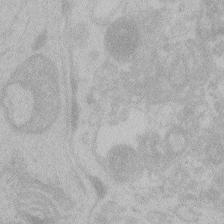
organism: Zebrafish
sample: Macrophage infected with Toxoplasma gondii